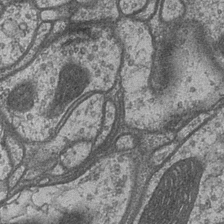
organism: Drosophila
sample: Optic medulla